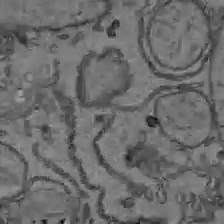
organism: C57BL Mouse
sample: Liver